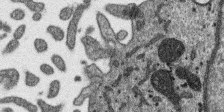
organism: Human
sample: Lung epithelial cells infected with SARS-CoV-2